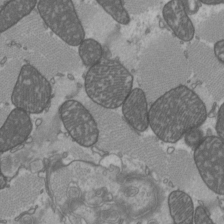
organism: C57BL Mouse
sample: Heart